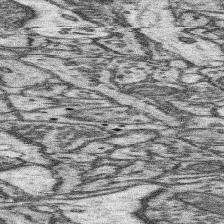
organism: Mouse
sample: Somatosensory cortex neuropil